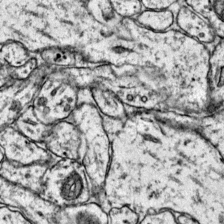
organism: Mouse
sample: Primary visual cortex